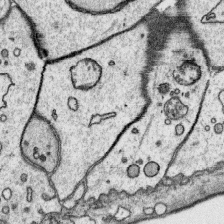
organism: Platynereis dumerilii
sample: Parapodia